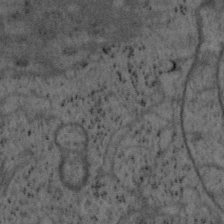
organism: Human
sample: HeLa cells